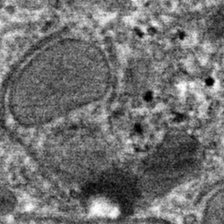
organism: Mouse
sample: Mouse hepatocytes